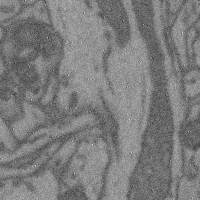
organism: Mouse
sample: Cerebral cortex